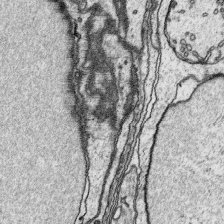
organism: Platynereis dumerilii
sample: Parapodia